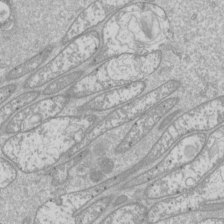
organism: Drosophila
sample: Cell division; meiosis; drosophila spermatocytes